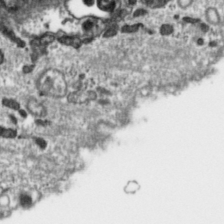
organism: Toxoplasma gondii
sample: Parasites in a vacuole inside a host cell